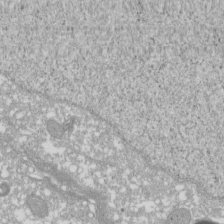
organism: Xenopus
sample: Cilia; centrioles in frog embryo cells